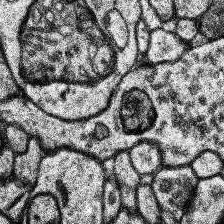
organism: Human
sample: Temporal Lobe